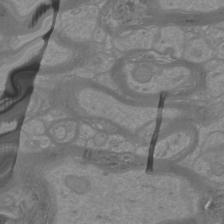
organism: Mouse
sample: Cortical neurons